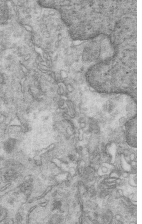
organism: Mouse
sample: Multiciliated cells